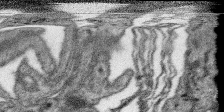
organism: Human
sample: Lung epithelial cells infected with SARS-CoV-2